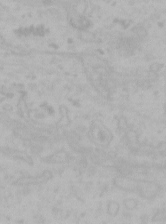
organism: Mouse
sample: Choroid plexus